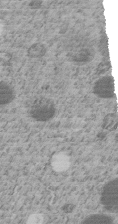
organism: C. elegans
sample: C. elegans embryo early stage